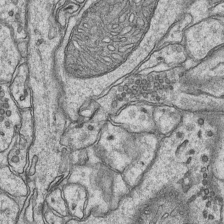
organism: Mouse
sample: CA1 Hippocampus